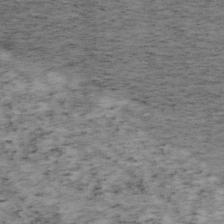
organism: Mouse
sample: OT-I killer T cells with ID8 ovarian cancer cells